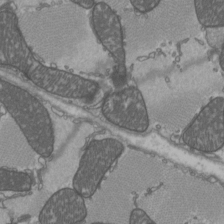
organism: C57BL Mouse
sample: Heart